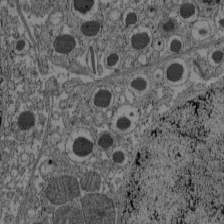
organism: C57BL Mouse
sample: Pancreatic islet